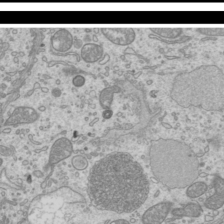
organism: Mouse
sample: Cilia; mouse epididymis